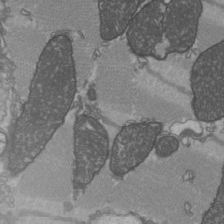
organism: C57BL Mouse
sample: Heart